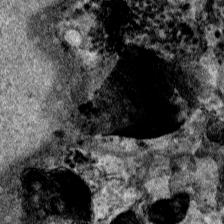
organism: Human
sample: Mitochondria in HCT116 cells